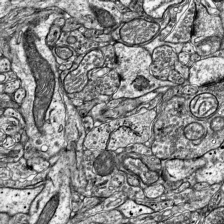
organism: Mouse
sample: Visual Cortex